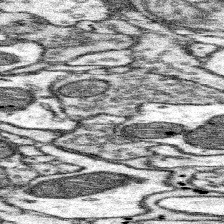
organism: Mouse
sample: Somatosensory cortex neuropil